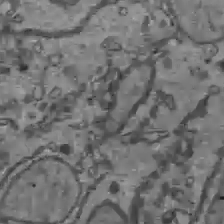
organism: C57BL Mouse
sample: Liver